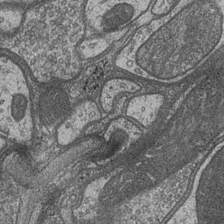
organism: Drosophila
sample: Optic medulla